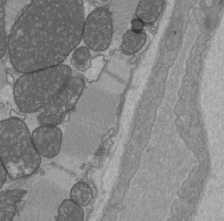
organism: C57BL Mouse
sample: Heart